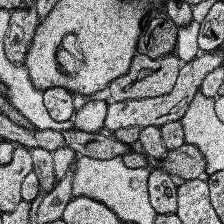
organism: Human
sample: Temporal Lobe